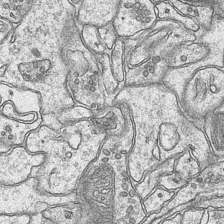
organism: Mouse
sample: CA1 Hippocampus